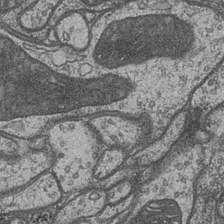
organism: Drosophila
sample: Optic medulla